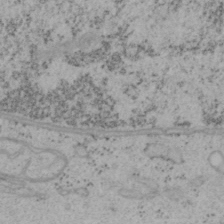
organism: Human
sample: HeLa cells